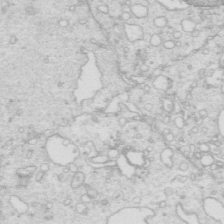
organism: Mouse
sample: Multiciliated cells